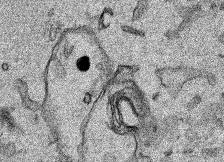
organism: Human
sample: Mitochondria in HCT116 cells